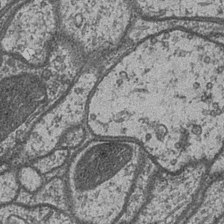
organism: Drosophila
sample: Optic medulla